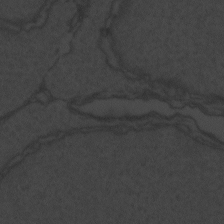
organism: Zebrafish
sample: Macrophage infected with Toxoplasma gondii